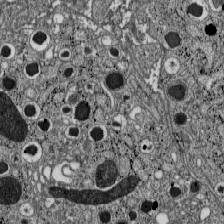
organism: C57BL Mouse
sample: Pancreatic islet